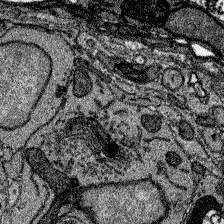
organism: Zebrafish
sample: Larval olfactory bulb